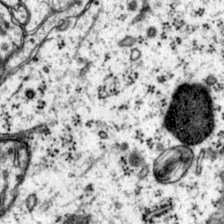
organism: Mouse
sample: Primary visual cortex